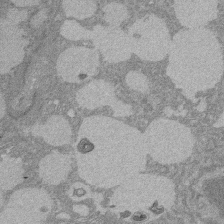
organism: Rat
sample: Salivary granule